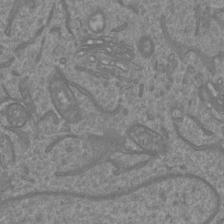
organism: Mouse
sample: Cortical neurons